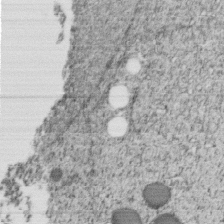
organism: C. elegans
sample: C. elegans embryo early stage